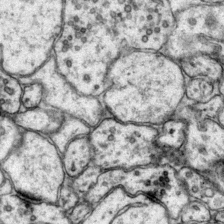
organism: Mouse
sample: Primary visual cortex